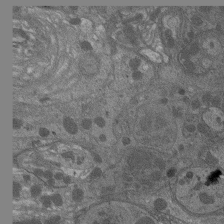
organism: Drosophila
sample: Antenna